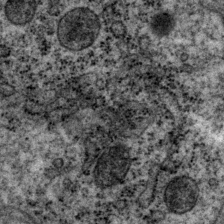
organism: P. pacificus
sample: Pharynx